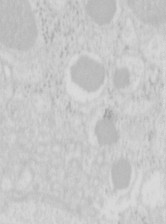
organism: Mouse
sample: Pancreas